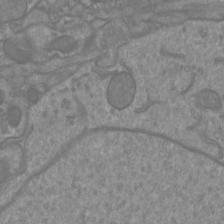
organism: Mouse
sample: Cortical neurons